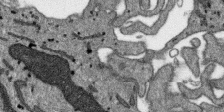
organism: Human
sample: Lung epithelial cells, uninfected (mock) control